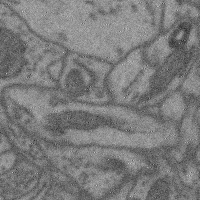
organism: Mouse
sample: Cerebral cortex